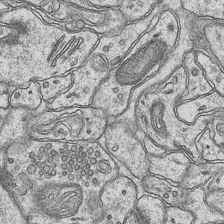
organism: Mouse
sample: CA1 Hippocampus